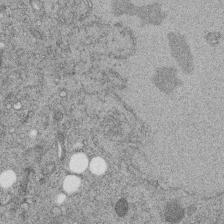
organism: C. elegans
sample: C. elegans embryo early stage